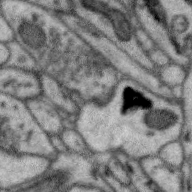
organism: Zebra finch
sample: Brain